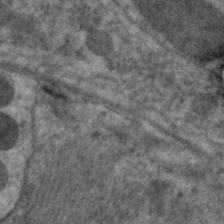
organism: C. elegans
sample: Pharynx